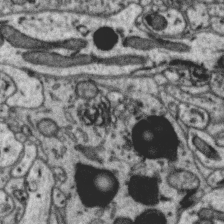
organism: Zebra finch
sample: Brain